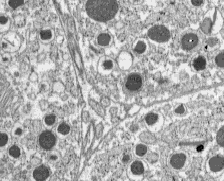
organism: C57BL Mouse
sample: Pancreatic islet